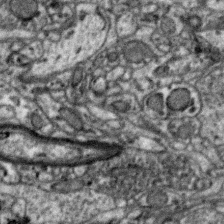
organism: Zebra finch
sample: Brain